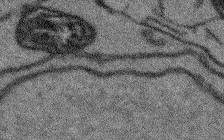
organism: Arabidopsis thaliana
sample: Root tip